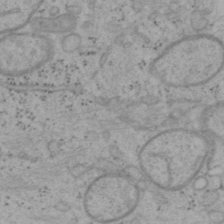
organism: Human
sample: HeLa cells